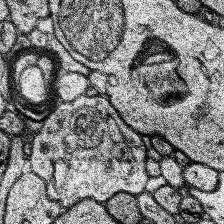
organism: Human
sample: Temporal Lobe